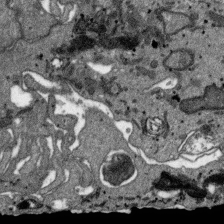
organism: Human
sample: Lung epithelial cells, uninfected (mock) control